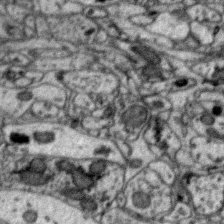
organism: Zebra finch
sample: Brain